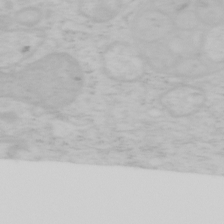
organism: Mouse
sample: OT-I killer T cells with ID8 ovarian cancer cells